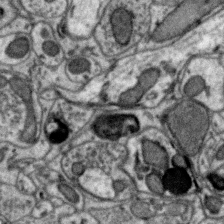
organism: Zebra finch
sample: Brain